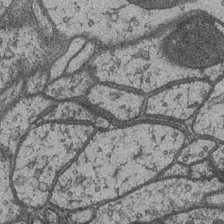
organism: Drosophila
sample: Optic medulla